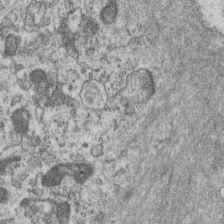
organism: Mouse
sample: Centriole in ependymal cells